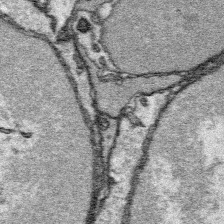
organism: Platynereis dumerilii